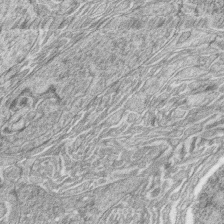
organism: Zebrafish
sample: synaptic ribbons in rod cells and cone cells